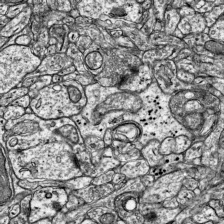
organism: Mouse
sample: Visual Cortex